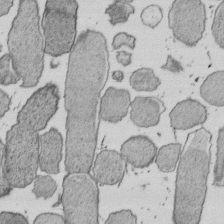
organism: E. coli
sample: Bacterial nucleoid